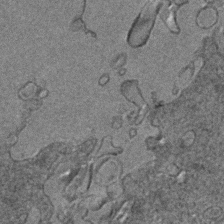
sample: Trachea